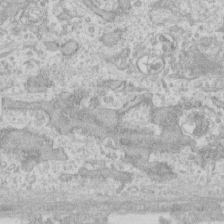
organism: Human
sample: Fibroblast cells